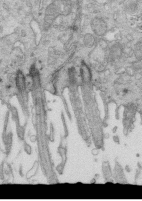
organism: Mouse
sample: Multiciliated cells